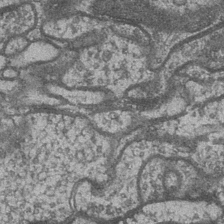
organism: Drosophila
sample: Optic medulla